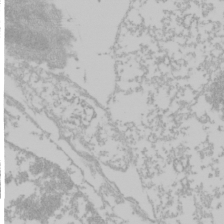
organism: Mouse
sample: Cancer cell death in ED-1 cells